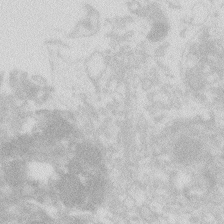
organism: Zebrafish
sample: Macrophage